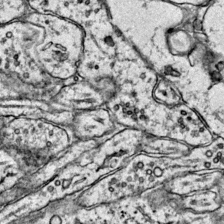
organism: Mouse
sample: Primary visual cortex